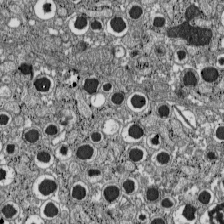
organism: C57BL Mouse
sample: Pancreatic islet